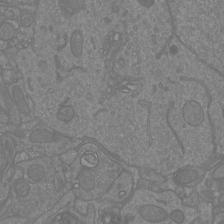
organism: Mouse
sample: Cortical neurons